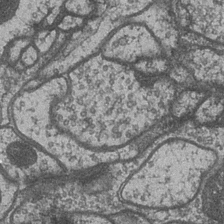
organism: Drosophila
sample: Optic medulla